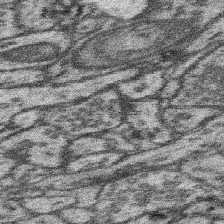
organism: Mouse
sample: Somatosensory cortex neuropil